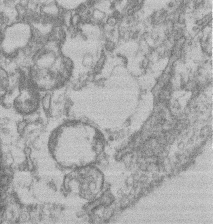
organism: Mouse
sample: T cell stromal cell synapse